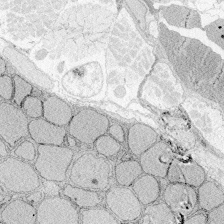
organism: Zebrafish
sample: Whole-Brain